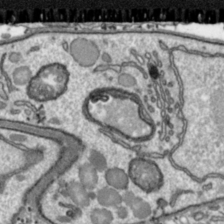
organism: Toxoplasma gondii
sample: Parasites in a vacuole inside a host cell